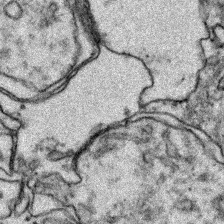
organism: Zebrafish